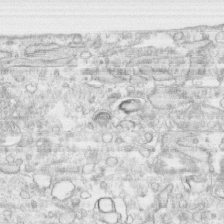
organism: Human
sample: CRL-1474